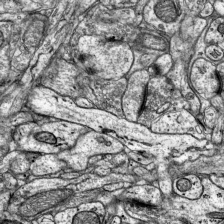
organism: Mouse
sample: Visual Cortex